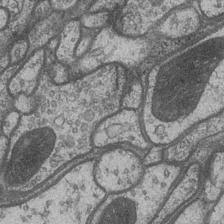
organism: Drosophila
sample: Optic medulla